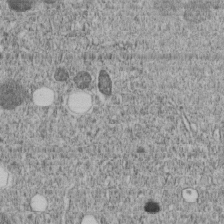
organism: C. elegans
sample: C. elegans embryo early stage